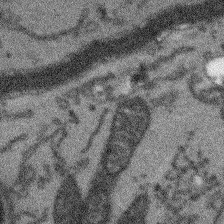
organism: Arabidopsis thaliana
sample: Root tip